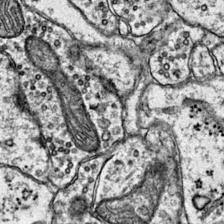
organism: Mouse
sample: Primary visual cortex